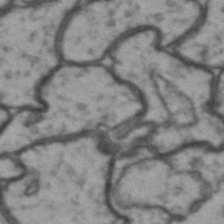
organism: Drosophila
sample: Brain